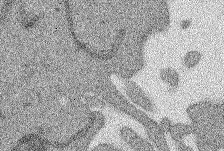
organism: Human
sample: HeLa cells